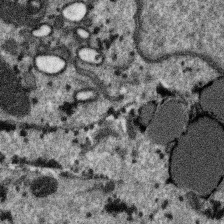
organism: Human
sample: Lung epithelial cells infected with SARS-CoV-2